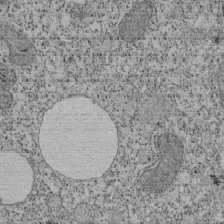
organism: Tetrahymena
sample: Cilia in tetrahymena